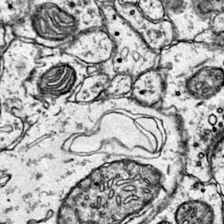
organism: Mouse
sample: Primary visual cortex